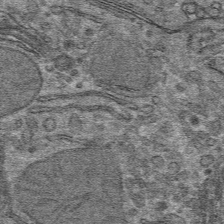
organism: Mouse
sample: Mouse hepatocytes